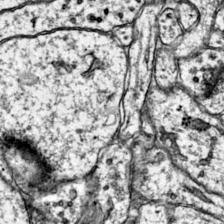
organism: Mouse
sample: Primary visual cortex